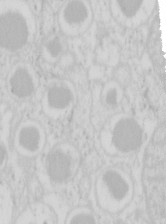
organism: Mouse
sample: Pancreas